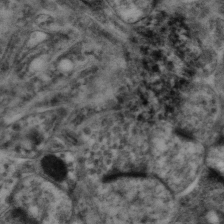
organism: Mouse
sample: Neocortex